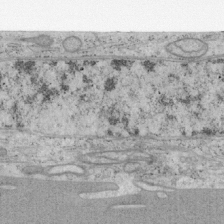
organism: Human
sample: HeLa cells